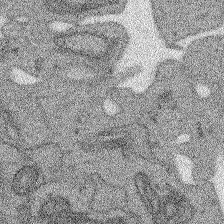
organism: Human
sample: HeLa cells